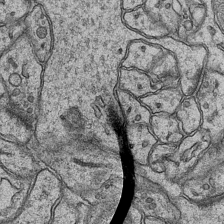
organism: Mouse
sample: CA1 Hippocampus